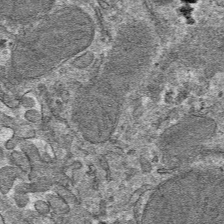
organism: Mouse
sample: Mouse hepatocytes